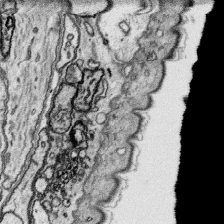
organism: Platynereis dumerilii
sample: Parapodia